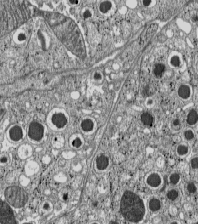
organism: C57BL Mouse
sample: Pancreatic islet